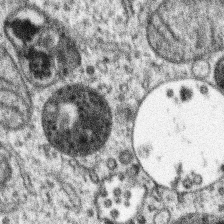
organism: Human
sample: HeLa cells